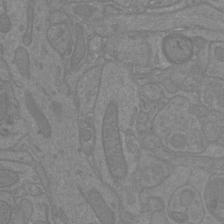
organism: Mouse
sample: Cortical neurons